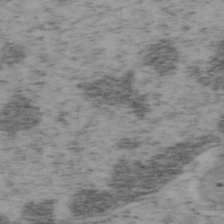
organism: Mouse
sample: OT-I killer T cells with ID8 ovarian cancer cells